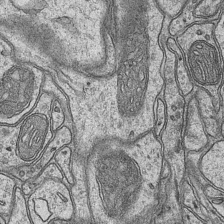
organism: Mouse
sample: CA1 Hippocampus